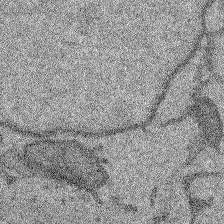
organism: Human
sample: HeLa cells